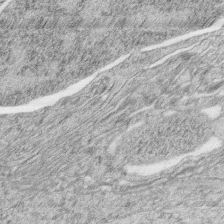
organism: Zebrafish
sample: synaptic ribbons in rod cells and cone cells